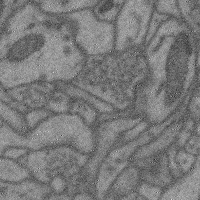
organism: Mouse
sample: Cerebral cortex